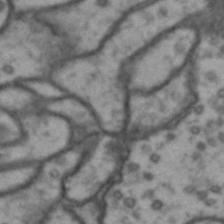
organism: Drosophila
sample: Brain